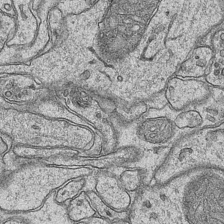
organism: Mouse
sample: CA1 Hippocampus